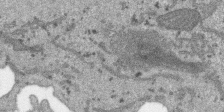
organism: Human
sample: Lung epithelial cells infected with SARS-CoV-2